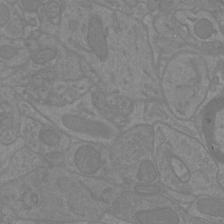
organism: Mouse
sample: Cortical neurons